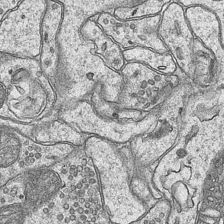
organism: Mouse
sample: CA1 Hippocampus